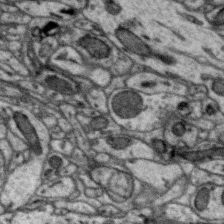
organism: Zebra finch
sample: Brain